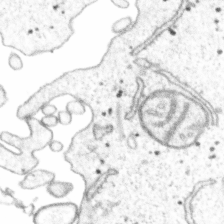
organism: Human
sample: HeLa cells